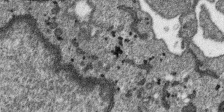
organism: Human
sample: Lung epithelial cells infected with SARS-CoV-2